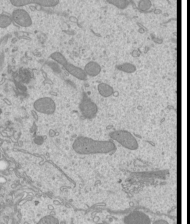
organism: Mouse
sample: Cilia; mouse epididymis